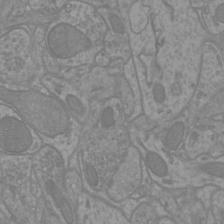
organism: Mouse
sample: Cortical neurons